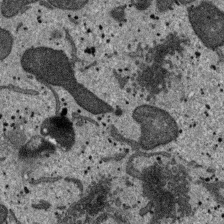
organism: Human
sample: Lung epithelial cells, uninfected (mock) control